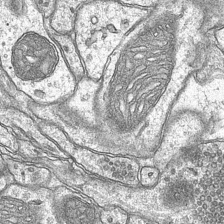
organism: Mouse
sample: CA1 Hippocampus